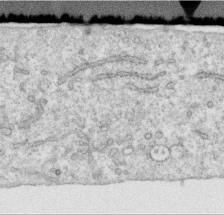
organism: Human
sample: Centriole in RPE cells